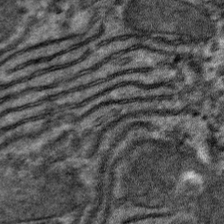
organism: Mouse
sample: Mouse hepatocytes